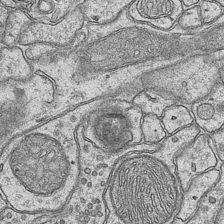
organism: Mouse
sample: CA1 Hippocampus